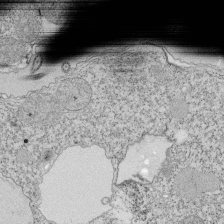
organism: Tetrahymena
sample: Cilia in tetrahymena